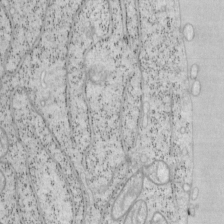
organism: Mouse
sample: OT-I killer T cells with ID8 ovarian cancer cells